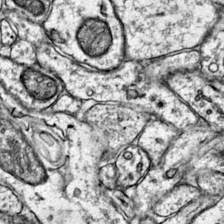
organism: Mouse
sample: Primary visual cortex